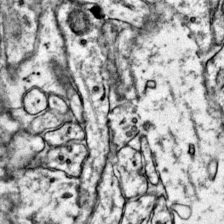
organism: Mouse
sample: Primary visual cortex